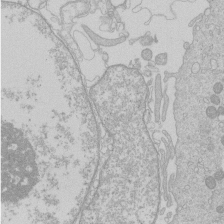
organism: Human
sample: Macrophage cells